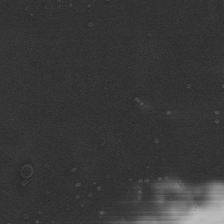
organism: Mouse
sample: Cilia; mouse epididymis